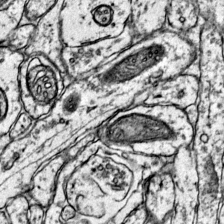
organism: Mouse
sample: Primary visual cortex